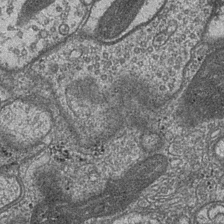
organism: Drosophila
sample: Optic medulla